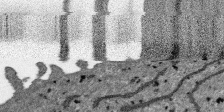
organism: Human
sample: Lung epithelial cells, uninfected (mock) control